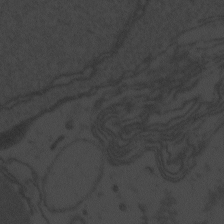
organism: Zebrafish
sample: Macrophage infected with Toxoplasma gondii